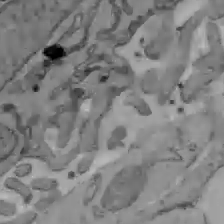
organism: C57BL Mouse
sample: Liver